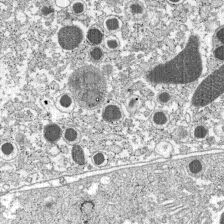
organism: C57BL Mouse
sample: Pancreatic islet